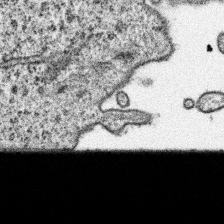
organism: Human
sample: HeLa cells